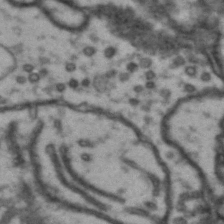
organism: Drosophila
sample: Brain